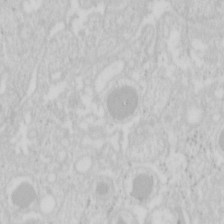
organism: Mouse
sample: Pancreas